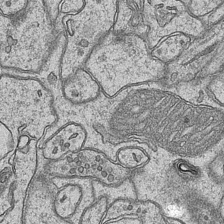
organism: Mouse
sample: CA1 Hippocampus